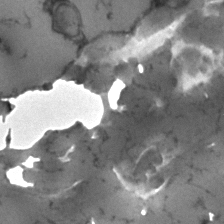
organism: Human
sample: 1205lu cells